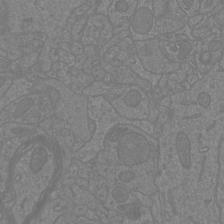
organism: Mouse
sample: Cortical neurons